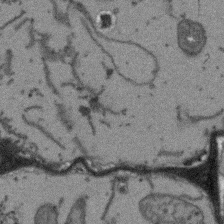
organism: Arabidopsis thaliana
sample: Root tip